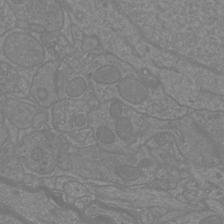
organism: Mouse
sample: Cortical neurons